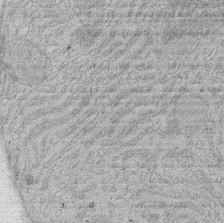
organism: Rat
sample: Salivary granule